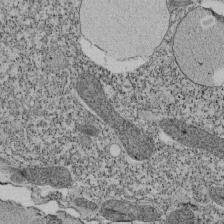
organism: Tetrahymena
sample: Cilia in tetrahymena